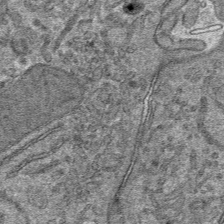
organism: Mouse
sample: Mouse hepatocytes